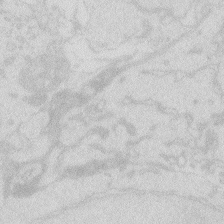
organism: Zebrafish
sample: Macrophage